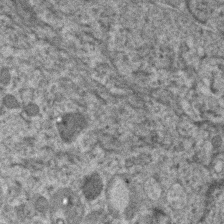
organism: Human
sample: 1205lu cells